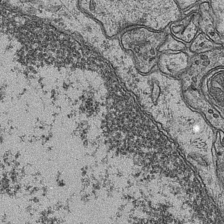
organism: Mouse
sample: CA1 Hippocampus